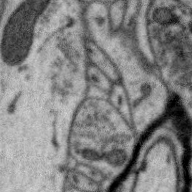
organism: Zebra finch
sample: Brain